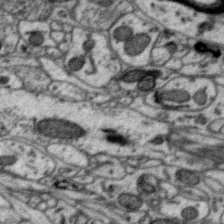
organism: Zebra finch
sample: Brain